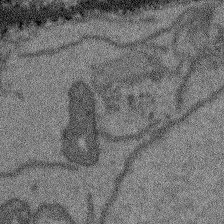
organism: Arabidopsis thaliana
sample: Root tip